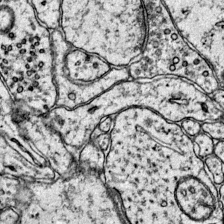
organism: Mouse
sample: Primary visual cortex